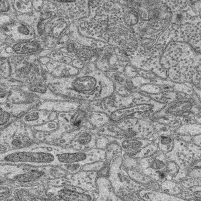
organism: Mouse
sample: Retina